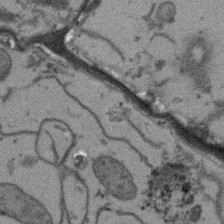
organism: Arabidopsis thaliana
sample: Root tip